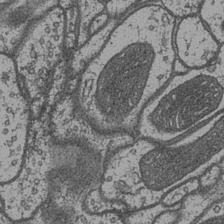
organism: Drosophila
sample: Optic medulla